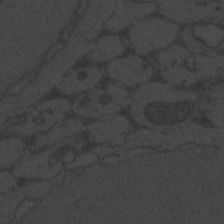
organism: Zebrafish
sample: Macrophage infected with Toxoplasma gondii